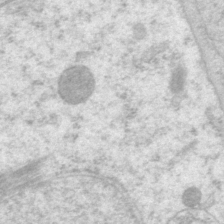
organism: P. pacificus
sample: Pharynx